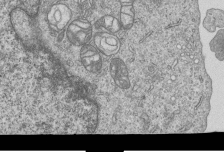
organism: Human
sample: MDA-MB-231 cells